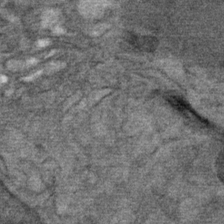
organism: Mouse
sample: Mouse Salivary gland